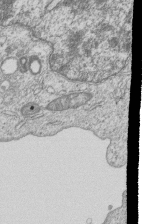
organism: Human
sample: MDA-MB-231 cells